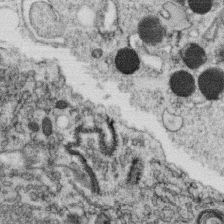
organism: C. elegans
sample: C. elegans oocyte; sperm cells